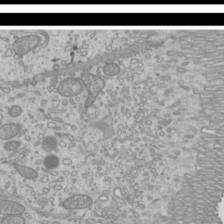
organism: Mouse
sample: Cilia; mouse epididymis